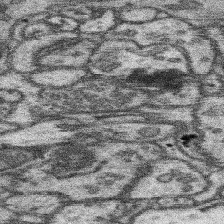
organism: Mouse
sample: Somatosensory cortex neuropil